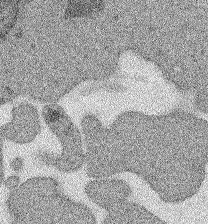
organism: Human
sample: HeLa cells